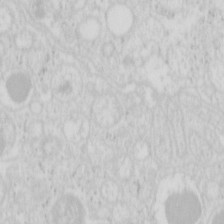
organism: Mouse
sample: Pancreas